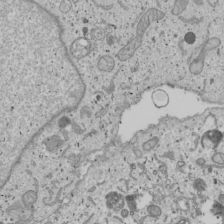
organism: Human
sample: Mitochondria in U2OS cells